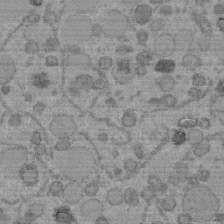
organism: C. elegans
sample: C. elegans embryo early stage